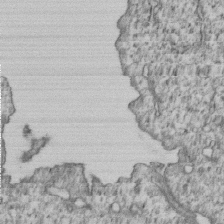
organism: Human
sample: MDA-MB-231 cells